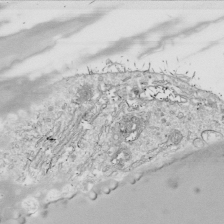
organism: Drosophila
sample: Cell division; meiosis; drosophila spermatocytes